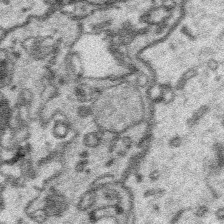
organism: Platynereis dumerilii